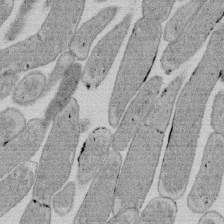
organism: E. coli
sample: Bacterial nucleoid